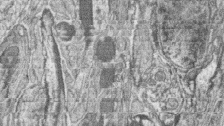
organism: Zebrafish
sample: synaptic ribbons in rod cells and cone cells